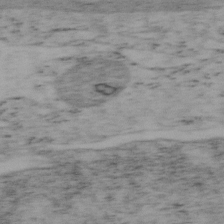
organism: Mouse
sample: OT-I killer T cells with ID8 ovarian cancer cells